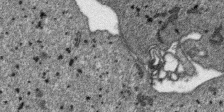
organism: Human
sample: Lung epithelial cells infected with SARS-CoV-2